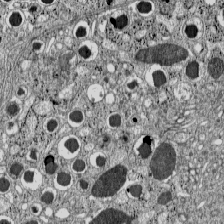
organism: C57BL Mouse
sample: Pancreatic islet